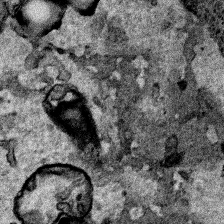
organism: Human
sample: Mitochondria in HCT116 cells